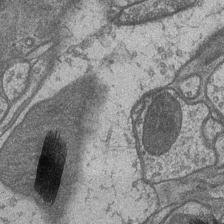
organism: Drosophila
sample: Optic medulla